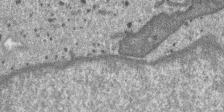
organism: Human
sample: Lung epithelial cells infected with SARS-CoV-2